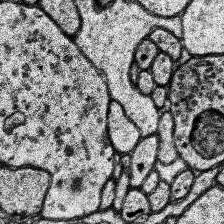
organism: Human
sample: Temporal Lobe